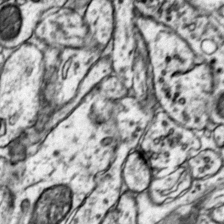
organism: Mouse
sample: Primary visual cortex